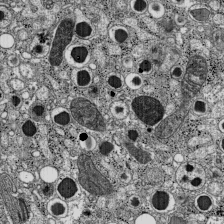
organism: C57BL Mouse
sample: Pancreatic islet